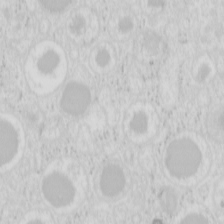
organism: Mouse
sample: Pancreas